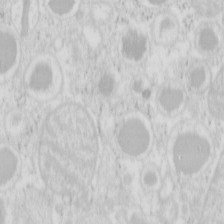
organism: Mouse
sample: Pancreas